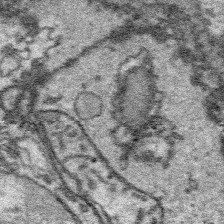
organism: Platynereis dumerilii